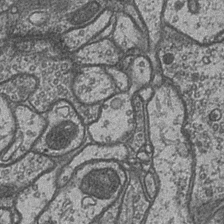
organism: Drosophila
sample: Optic medulla